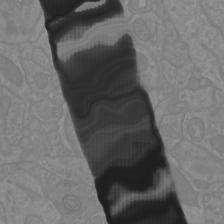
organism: Mouse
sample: Cortical neurons